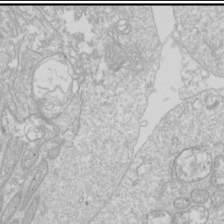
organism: Drosophila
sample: Cell division; meiosis; drosophila spermatocytes